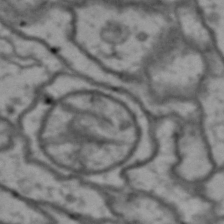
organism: Drosophila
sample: Brain